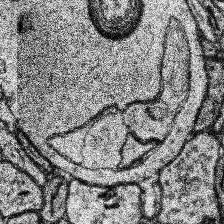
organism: Human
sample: Temporal Lobe